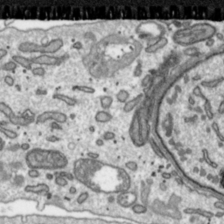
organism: Toxoplasma gondii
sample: Parasites in a vacuole inside a host cell